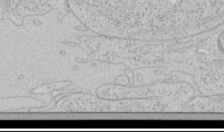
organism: Human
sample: Mitochondria in HCT116 cells